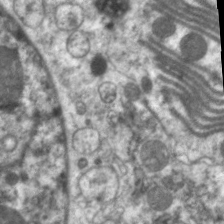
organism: C. elegans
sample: Pharynx